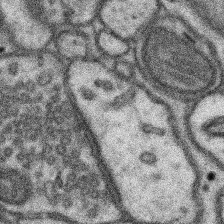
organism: Mouse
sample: Somatosensory cortex neuropil